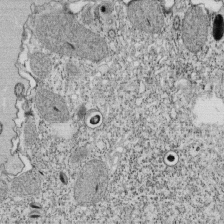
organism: Tetrahymena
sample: Cilia in tetrahymena